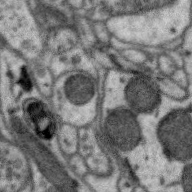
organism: Zebra finch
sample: Brain